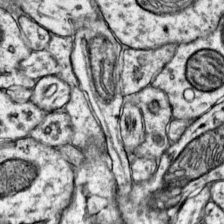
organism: Mouse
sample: Primary visual cortex